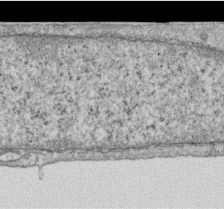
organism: Human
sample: Centriole in RPE cells